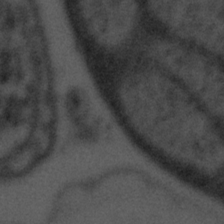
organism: Tuwongella immobilis